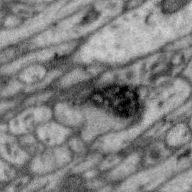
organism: Zebra finch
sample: Brain